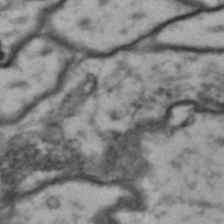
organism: Drosophila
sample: Brain